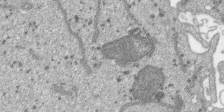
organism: Human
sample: Lung epithelial cells infected with SARS-CoV-2